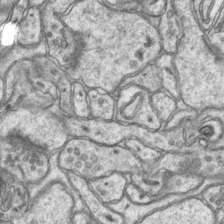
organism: Mouse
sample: CA1 Hippocampus